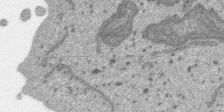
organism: Human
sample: Lung epithelial cells infected with SARS-CoV-2